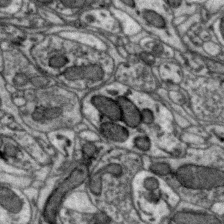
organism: Zebra finch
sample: Brain